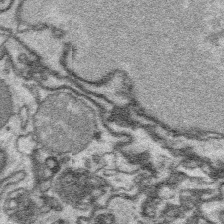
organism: Platynereis dumerilii